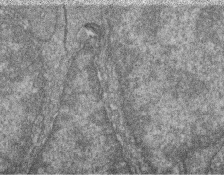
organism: Zebrafish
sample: Cilia; retinal pigment epithelium